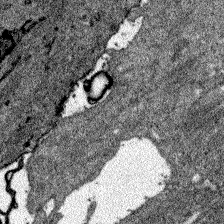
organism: Zebrafish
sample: Larval olfactory bulb